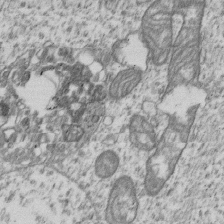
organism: Human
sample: MDA-MB-231 cells